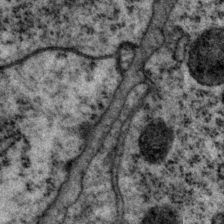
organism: P. pacificus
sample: Pharynx